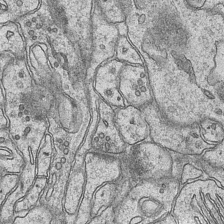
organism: Mouse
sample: CA1 Hippocampus